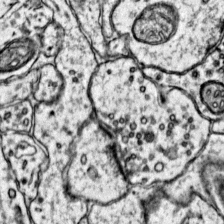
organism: Mouse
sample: Primary visual cortex